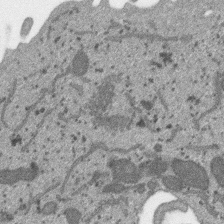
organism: Human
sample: Lung epithelial cells infected with SARS-CoV-2